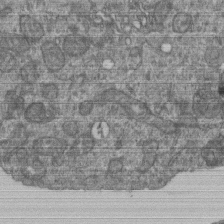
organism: Human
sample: Retinal organoid Rod and Cone cells